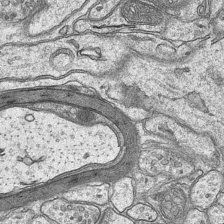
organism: Mouse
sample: CA1 Hippocampus